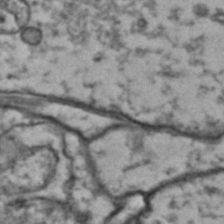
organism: Drosophila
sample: Brain